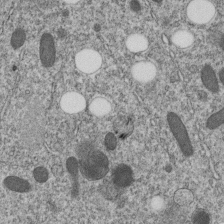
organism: C. elegans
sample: C. elegans embryo early stage